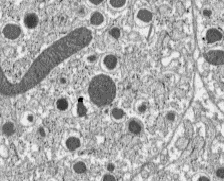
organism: C57BL Mouse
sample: Pancreatic islet